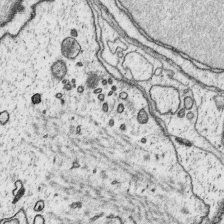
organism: Platynereis dumerilii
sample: Parapodia